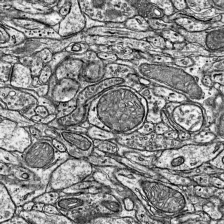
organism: Mouse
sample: Visual Cortex